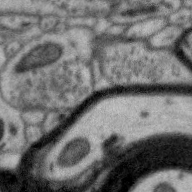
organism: Zebra finch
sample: Brain